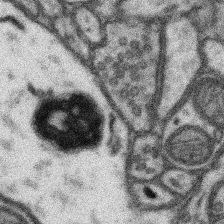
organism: Mouse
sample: Somatosensory cortex neuropil